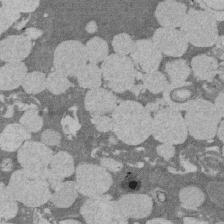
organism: Rat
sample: Salivary granule